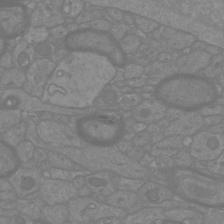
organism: Mouse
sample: Cortical neurons